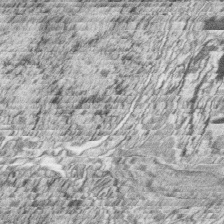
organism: Zebrafish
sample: synaptic ribbons in rod cells and cone cells